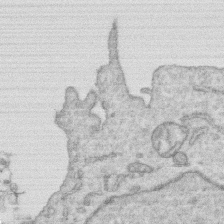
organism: Human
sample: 1205lu cells